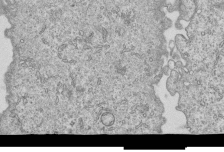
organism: Human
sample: MDA-MB-231 cells